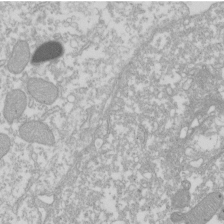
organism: Xenopus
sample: Cilia; centrioles in frog embryo cells